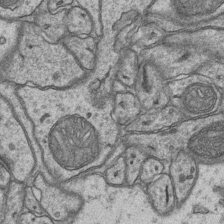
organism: Mouse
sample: CA1 Hippocampus